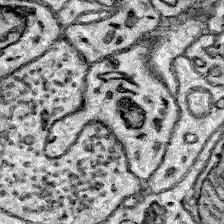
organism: Zebrafish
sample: Brain